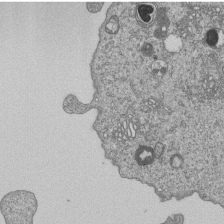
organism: Human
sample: MDA-MB-231 cells